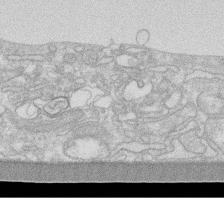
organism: Human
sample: Fibroblast cells